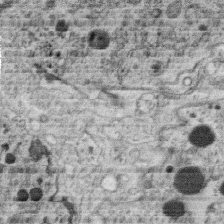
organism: C. elegans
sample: C. elegans oocyte; sperm cells